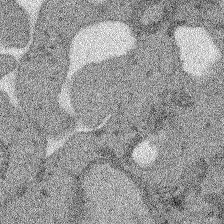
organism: Human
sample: HeLa cells